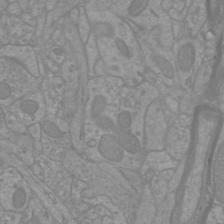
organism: Mouse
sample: Cortical neurons